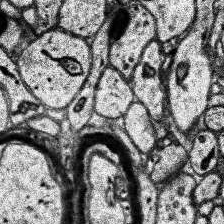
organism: Human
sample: Temporal Lobe